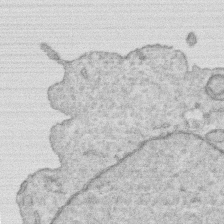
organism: Human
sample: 1205lu cells